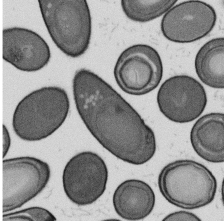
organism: B. subtilis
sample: Bacterial spore